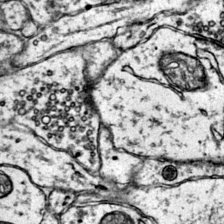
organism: Mouse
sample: Primary visual cortex